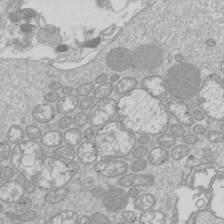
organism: Drosophila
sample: Cell division; meiosis; drosophila spermatocytes